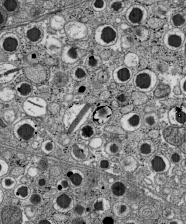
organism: C57BL Mouse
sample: Pancreatic islet